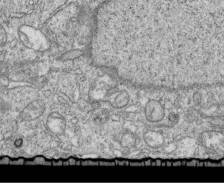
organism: Human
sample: HeLa cell HIV synapse